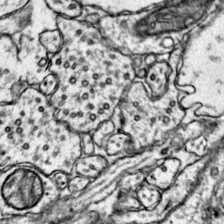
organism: Mouse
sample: Primary visual cortex